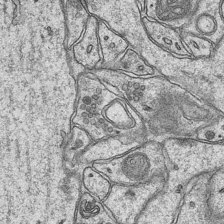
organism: Mouse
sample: CA1 Hippocampus